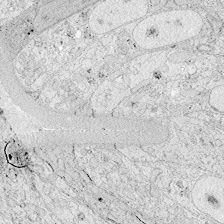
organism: Zebrafish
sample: Whole-Brain